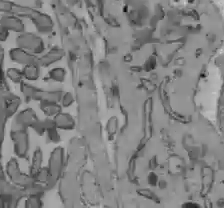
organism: C57BL Mouse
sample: Liver